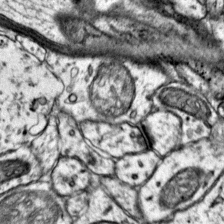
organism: Mouse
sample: Primary visual cortex